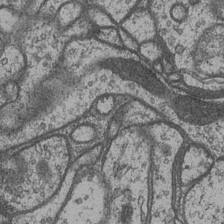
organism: Drosophila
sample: Optic medulla